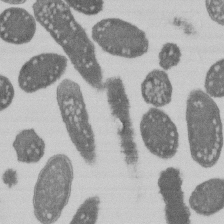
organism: E. coli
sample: Bacterial nucleoid